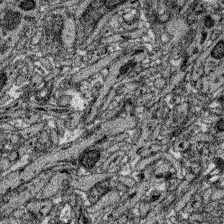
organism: Zebrafish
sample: Larval olfactory bulb